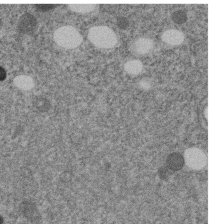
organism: C. elegans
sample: C. elegans embryo early stage